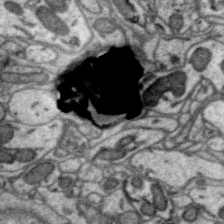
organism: Zebra finch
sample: Brain